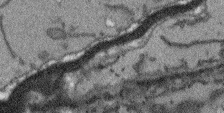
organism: Arabidopsis thaliana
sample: Root tip